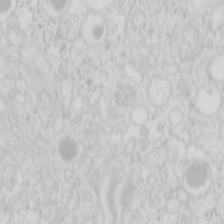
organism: Mouse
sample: Pancreas